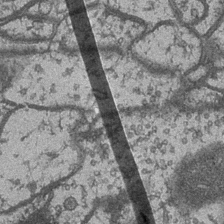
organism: Drosophila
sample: Optic medulla